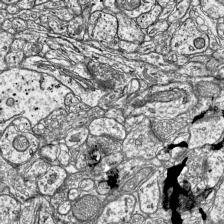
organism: Mouse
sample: Visual Cortex